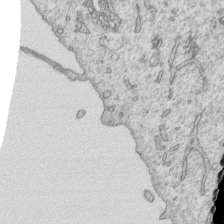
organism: Human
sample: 1205lu cells